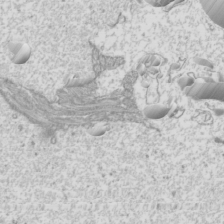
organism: Mouse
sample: Cilia; mouse epididymis